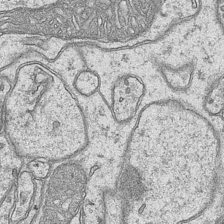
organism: Mouse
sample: CA1 Hippocampus